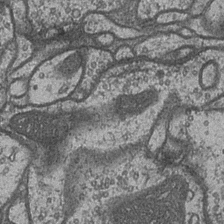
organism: Drosophila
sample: Optic medulla